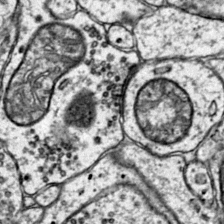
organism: Mouse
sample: Primary visual cortex